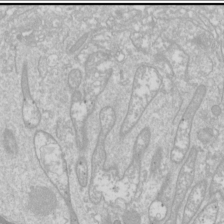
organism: Drosophila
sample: Cell division; meiosis; drosophila spermatocytes